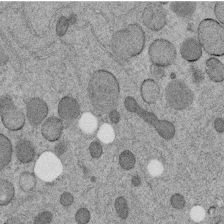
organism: C. elegans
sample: C. elegans embryo early stage